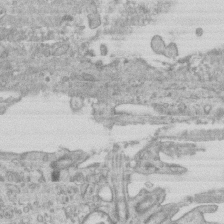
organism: Mouse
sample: Centriole in ependymal cells